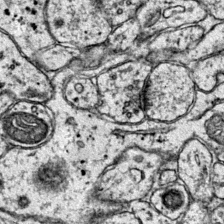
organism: Mouse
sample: Primary visual cortex